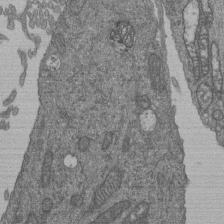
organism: Human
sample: Retinal organoid Rod and Cone cells